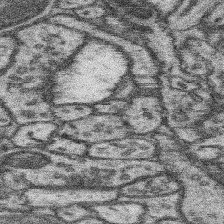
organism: Mouse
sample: Somatosensory cortex neuropil